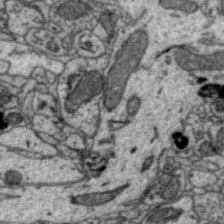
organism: Zebra finch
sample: Brain